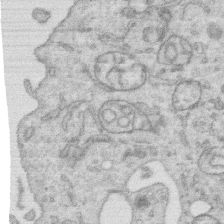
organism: Human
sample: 1205lu cells